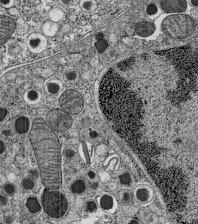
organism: C57BL Mouse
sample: Pancreatic islet